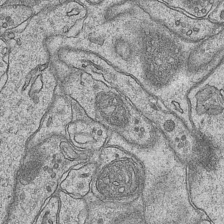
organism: Mouse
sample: CA1 Hippocampus